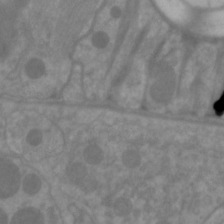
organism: C. elegans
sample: Pharynx